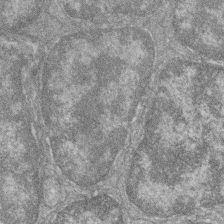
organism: Zebrafish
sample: Cilia; retinal pigment epithelium